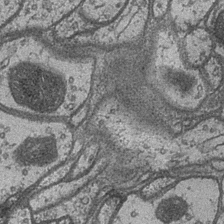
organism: Drosophila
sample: Optic medulla